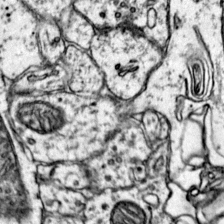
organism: Mouse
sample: Primary visual cortex